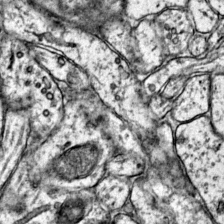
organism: Mouse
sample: Primary visual cortex